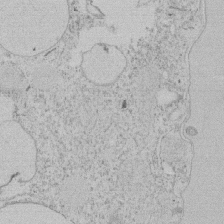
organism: Tetrahymena